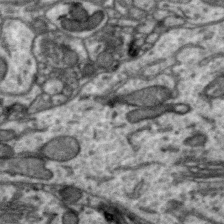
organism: Zebra finch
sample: Brain